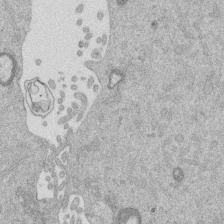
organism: Mouse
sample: Dividing mouse embryo 1 cell stage